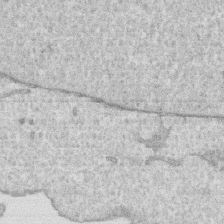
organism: Human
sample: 1205lu cells